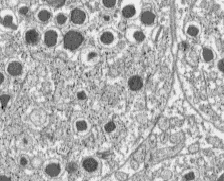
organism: C57BL Mouse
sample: Pancreatic islet